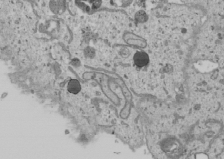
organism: Human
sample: Mitochondria in U2OS cells